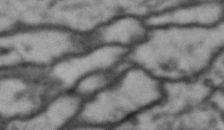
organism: Drosophila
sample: Brain